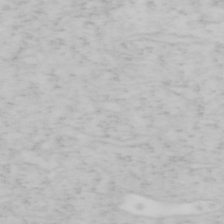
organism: Mouse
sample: OT-I killer T cells with ID8 ovarian cancer cells